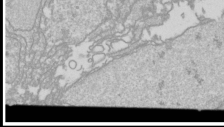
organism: Drosophila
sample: Cell division; meiosis; drosophila spermatocytes